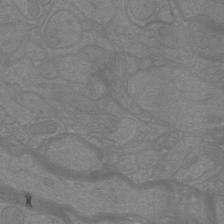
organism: Mouse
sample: Cortical neurons